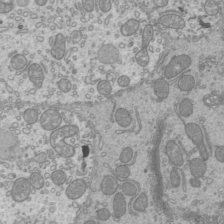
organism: Mouse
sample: Cilia; mouse epididymis